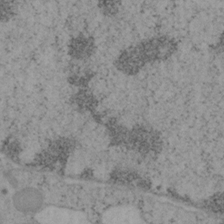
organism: Mouse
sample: OT-I killer T cells with ID8 ovarian cancer cells